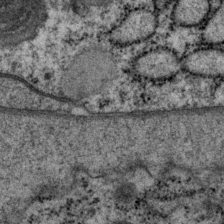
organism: P. pacificus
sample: Pharynx